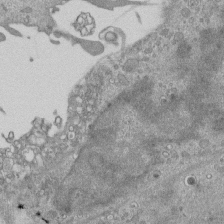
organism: Mouse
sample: ED-1 cell nuclei; centrioles